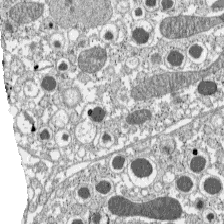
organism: C57BL Mouse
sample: Pancreatic islet